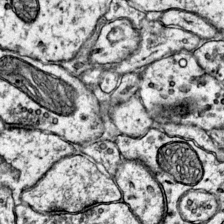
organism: Mouse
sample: Primary visual cortex